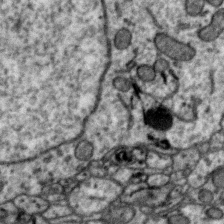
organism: Zebra finch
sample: Brain